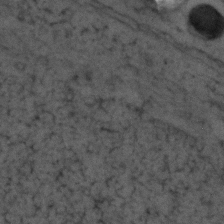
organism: Zebrafish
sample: Zebrafish embryo